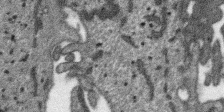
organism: Human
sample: Lung epithelial cells infected with SARS-CoV-2